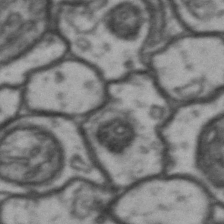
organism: Drosophila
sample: Brain